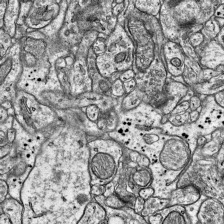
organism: Mouse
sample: Visual Cortex